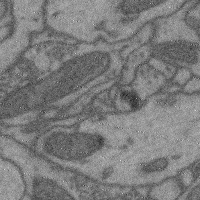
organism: Mouse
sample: Cerebral cortex